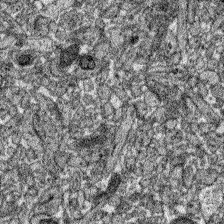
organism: Zebrafish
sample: Larval olfactory bulb